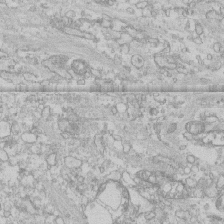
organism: Human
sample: CRL-1474